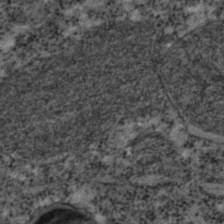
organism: C. elegans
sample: C. elegans embryo